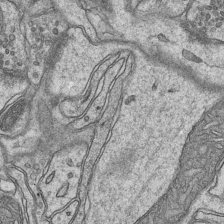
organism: Mouse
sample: CA1 Hippocampus